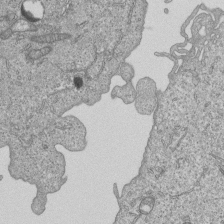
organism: Human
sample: MDA-MB-231 cells